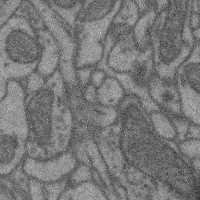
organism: Mouse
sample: Cerebral cortex